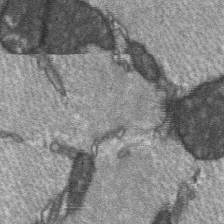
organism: C57BL Mouse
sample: Soleus